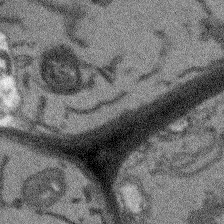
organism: Arabidopsis thaliana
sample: Root tip